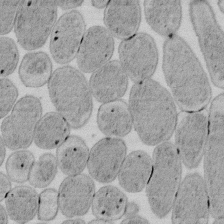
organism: E. coli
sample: Bacterial nucleoid